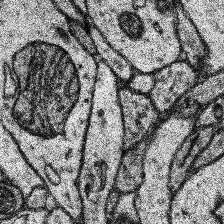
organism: Human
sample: Temporal Lobe